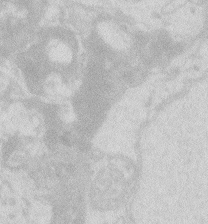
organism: Zebrafish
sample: Macrophage